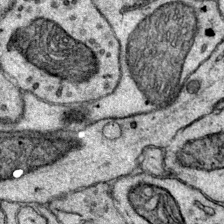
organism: Mouse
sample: Primary visual cortex